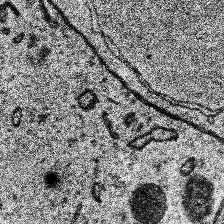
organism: Human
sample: Temporal Lobe